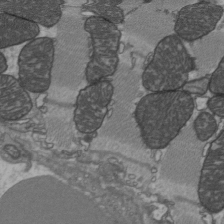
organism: C57BL Mouse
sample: Heart